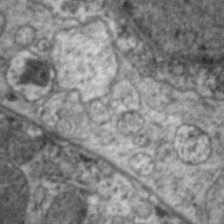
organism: C. elegans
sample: Pharynx